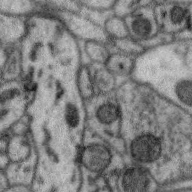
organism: Zebra finch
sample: Brain